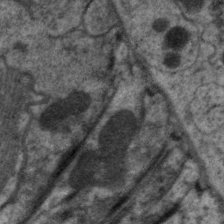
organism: C. elegans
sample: Pharynx